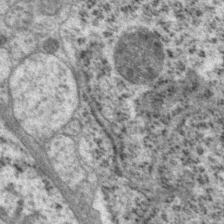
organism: P. pacificus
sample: Pharynx